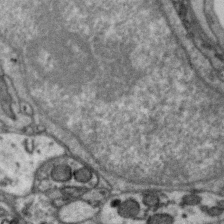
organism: Zebra finch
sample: Brain